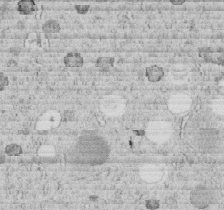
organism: C. elegans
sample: C. elegans embryo early stage